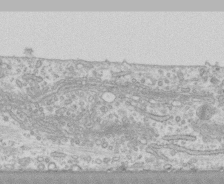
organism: Human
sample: CRL-1474